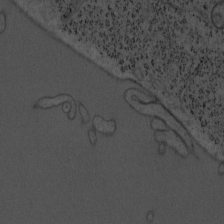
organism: Mouse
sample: OT-I killer T cells with ID8 ovarian cancer cells